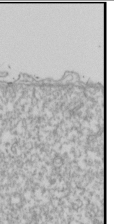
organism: Drosophila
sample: Cell division; meiosis; drosophila spermatocytes